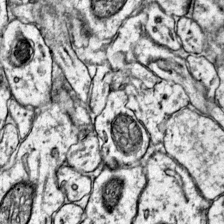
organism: Mouse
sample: Primary visual cortex